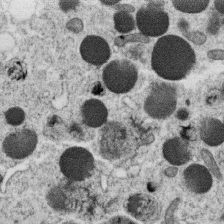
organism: C. elegans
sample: C. elegans oocyte; sperm cells